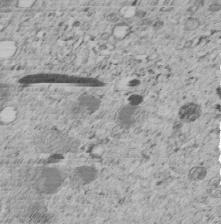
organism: C. elegans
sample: C. elegans embryo early stage